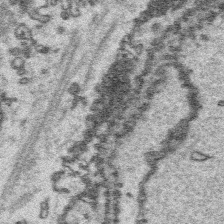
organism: Platynereis dumerilii